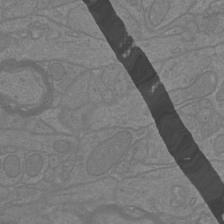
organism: Mouse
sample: Cortical neurons